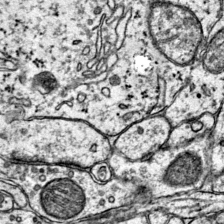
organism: Mouse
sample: Primary visual cortex